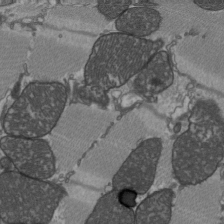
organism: C57BL Mouse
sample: Heart